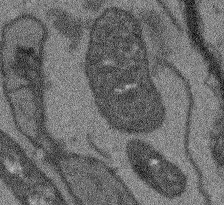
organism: Arabidopsis thaliana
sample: Root tip